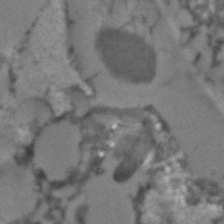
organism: C. elegans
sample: C. elegans embryo